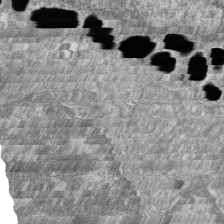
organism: Zebrafish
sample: Cilia; retinal pigment epithelium